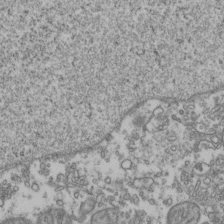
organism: Human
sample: Activated Jurkat CD4+ T cells